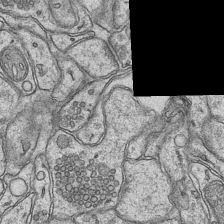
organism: Mouse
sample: CA1 Hippocampus